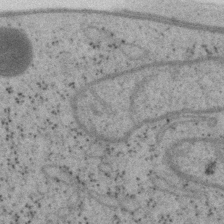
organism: Human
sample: HeLa cells